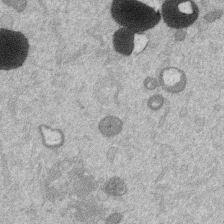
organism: Mouse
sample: Dividing mouse embryo 1 cell stage